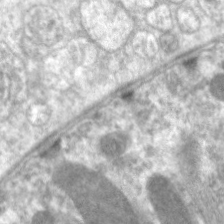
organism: C. elegans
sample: Pharynx